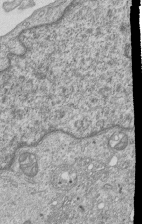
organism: Human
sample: MDA-MB-231 cells